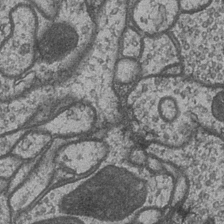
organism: Drosophila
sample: Optic medulla